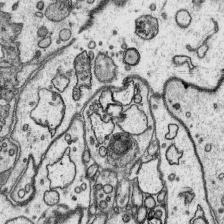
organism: Platynereis dumerilii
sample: Parapodia